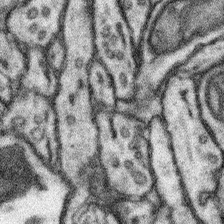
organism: Mouse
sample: Somatosensory cortex neuropil